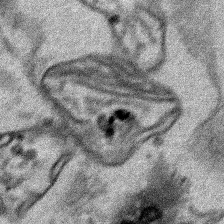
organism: Human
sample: Mitochondria in HCT116 cells